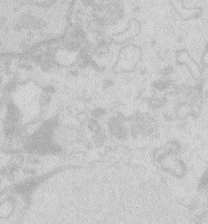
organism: Zebrafish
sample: Macrophage